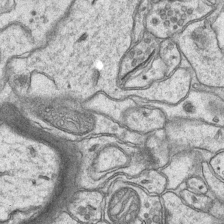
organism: Mouse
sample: CA1 Hippocampus